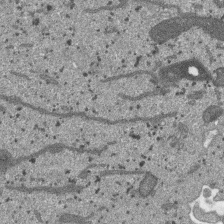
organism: Human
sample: Lung epithelial cells infected with SARS-CoV-2